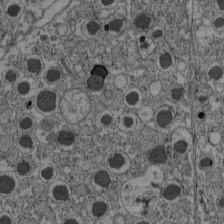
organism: C57BL Mouse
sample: Pancreatic islet